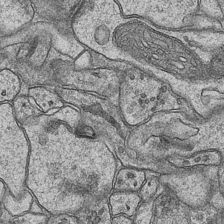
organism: Mouse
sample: CA1 Hippocampus